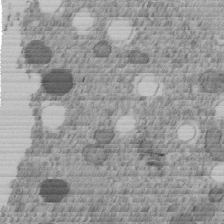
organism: C. elegans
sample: C. elegans embryo early stage